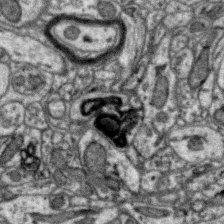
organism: Zebra finch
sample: Brain